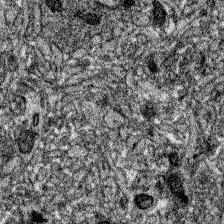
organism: Zebrafish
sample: Larval olfactory bulb